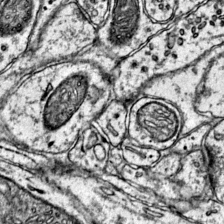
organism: Mouse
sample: Primary visual cortex